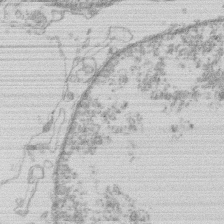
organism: Human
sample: Macrophage cells